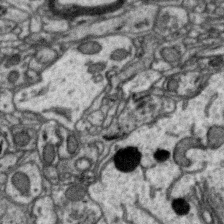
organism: Zebra finch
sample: Brain